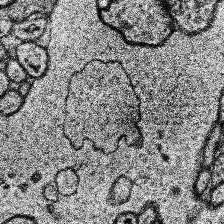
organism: Human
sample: Temporal Lobe